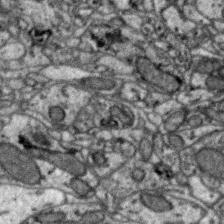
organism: Zebra finch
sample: Brain